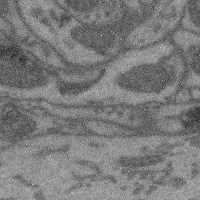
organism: Mouse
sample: Cerebral cortex